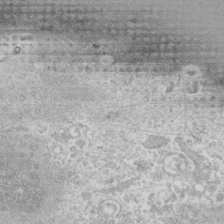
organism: Human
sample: Fibroblast cells